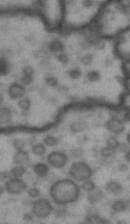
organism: Drosophila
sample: Brain